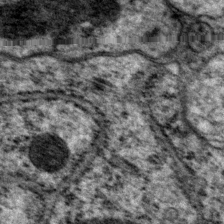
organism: P. pacificus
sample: Pharynx